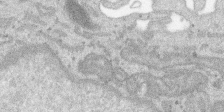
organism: Human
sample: Lung epithelial cells infected with SARS-CoV-2